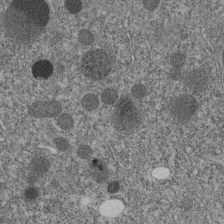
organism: C. elegans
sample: C. elegans embryo early stage